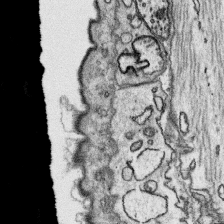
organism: Platynereis dumerilii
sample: Parapodia